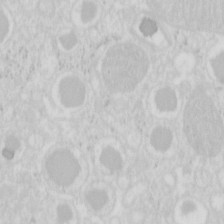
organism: Mouse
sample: Pancreas